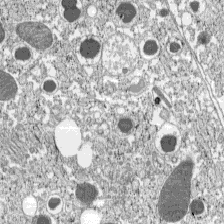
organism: C57BL Mouse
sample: Pancreatic islet